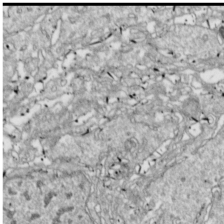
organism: Drosophila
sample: Cell division; meiosis; drosophila spermatocytes